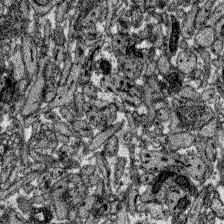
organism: Zebrafish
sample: Larval olfactory bulb